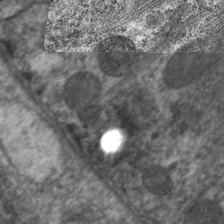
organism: C. elegans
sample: Pharynx